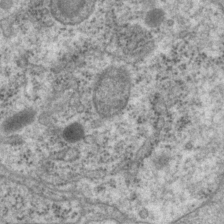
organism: P. pacificus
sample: Pharynx